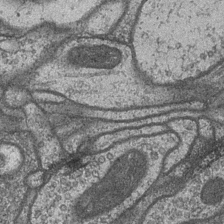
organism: Drosophila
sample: Optic medulla